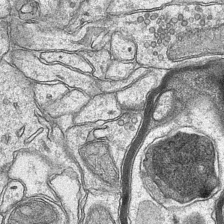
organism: Mouse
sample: CA1 Hippocampus